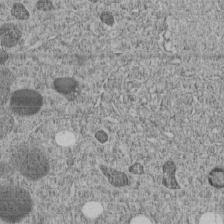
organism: C. elegans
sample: C. elegans embryo early stage